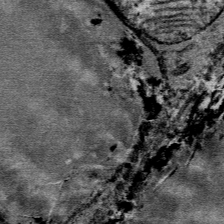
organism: Mouse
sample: Mouse Salivary gland